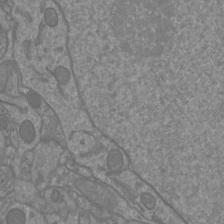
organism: Mouse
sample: Cortical neurons